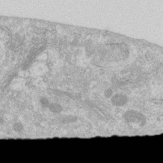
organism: Human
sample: Centriole in RPE cells